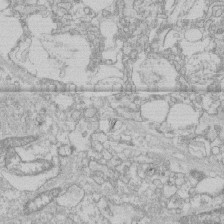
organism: Human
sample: CRL-1474